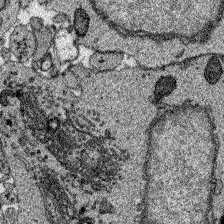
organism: Zebrafish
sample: Larval olfactory bulb